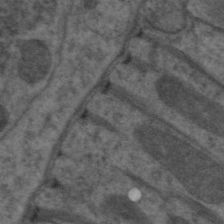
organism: C. elegans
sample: Pharynx